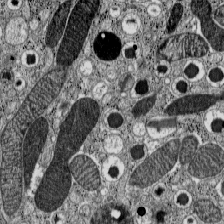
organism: C57BL Mouse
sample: Pancreatic islet